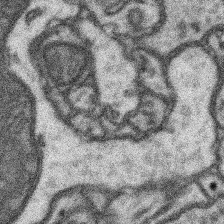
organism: Mouse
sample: Somatosensory cortex neuropil